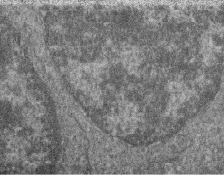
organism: Zebrafish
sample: Cilia; retinal pigment epithelium